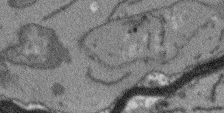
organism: Arabidopsis thaliana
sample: Root tip